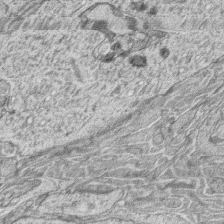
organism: Zebrafish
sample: synaptic ribbons in rod cells and cone cells